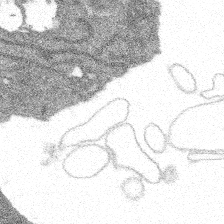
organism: Spongilla lacustris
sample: Multiple